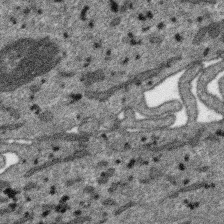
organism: Human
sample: Lung epithelial cells infected with SARS-CoV-2